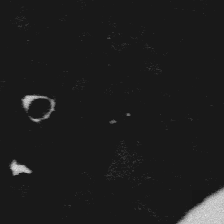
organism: Platynereis dumerilii